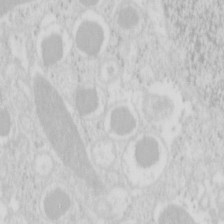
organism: Mouse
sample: Pancreas